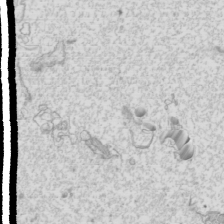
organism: Mouse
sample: Cilia; mouse epididymis